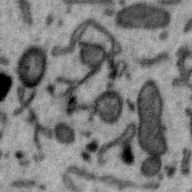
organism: Zebra finch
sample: Brain